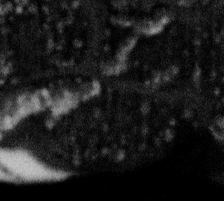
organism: Gemmata obscuriglobus